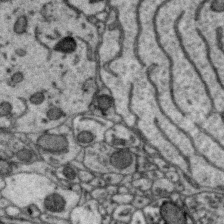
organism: Zebra finch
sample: Brain